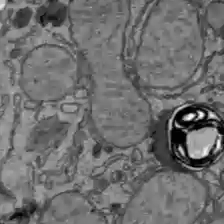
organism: C57BL Mouse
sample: Liver